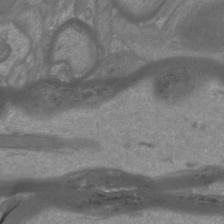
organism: Mouse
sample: Cortical neurons